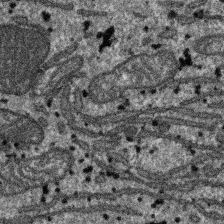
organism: Human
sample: Lung epithelial cells infected with SARS-CoV-2